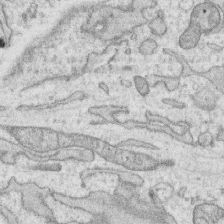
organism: Human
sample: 1205lu cells